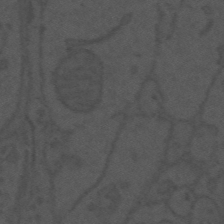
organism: Mouse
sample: Suprachiasmatic nucleus